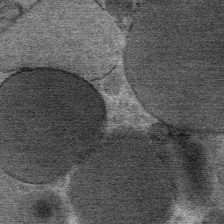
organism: Mouse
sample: Mouse Salivary gland